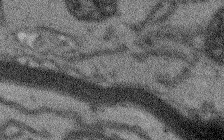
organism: Arabidopsis thaliana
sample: Root tip